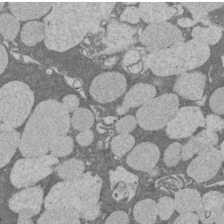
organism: Rat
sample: Salivary granule